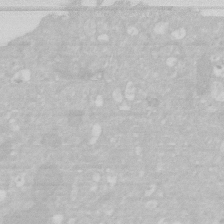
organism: Human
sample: HIV infected U937 cells